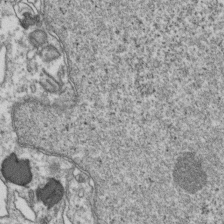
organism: Human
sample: Activated Jurkat CD4+ T cells